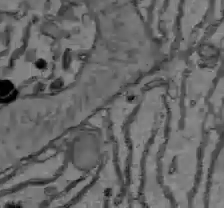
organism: C57BL Mouse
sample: Liver